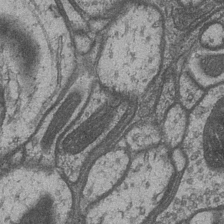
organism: Drosophila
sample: Optic medulla